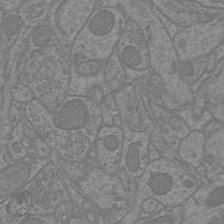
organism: Mouse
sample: Cortical neurons